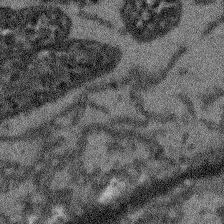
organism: Arabidopsis thaliana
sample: Root tip